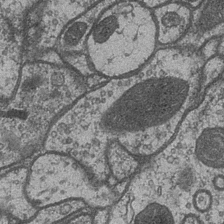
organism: Drosophila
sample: Optic medulla